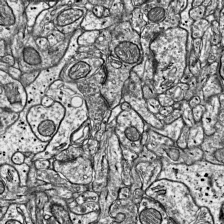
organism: Mouse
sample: Visual Cortex